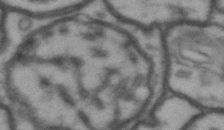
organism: Drosophila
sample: Brain